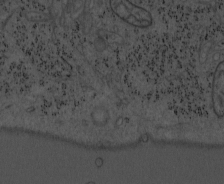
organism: Mouse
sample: OT-I killer T cells with ID8 ovarian cancer cells